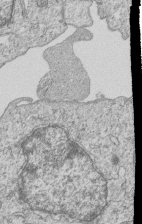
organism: Human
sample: MDA-MB-231 cells